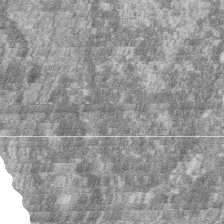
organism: Zebrafish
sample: Cilia; retinal pigment epithelium